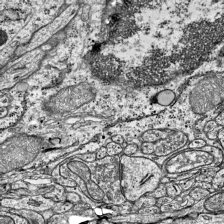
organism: Mouse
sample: Visual Cortex